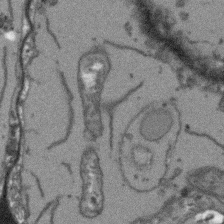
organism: Arabidopsis thaliana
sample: Root tip